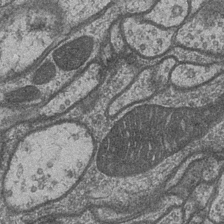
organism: Drosophila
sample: Optic medulla